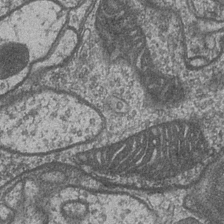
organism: Drosophila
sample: Optic medulla